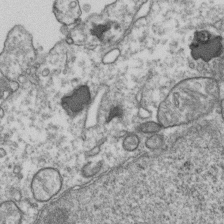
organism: Human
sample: Activated Jurkat CD4+ T cells